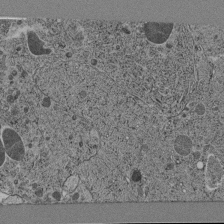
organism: C. elegans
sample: C. elegans pharynx